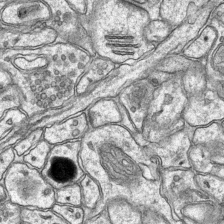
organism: Mouse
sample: CA1 Hippocampus